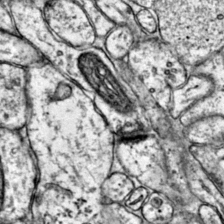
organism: Mouse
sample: Primary visual cortex